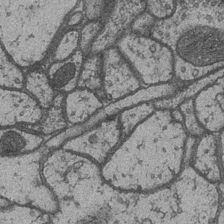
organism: Drosophila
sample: Optic medulla